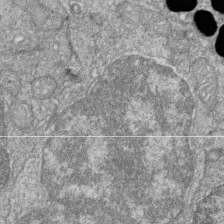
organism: Zebrafish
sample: Cilia; retinal pigment epithelium